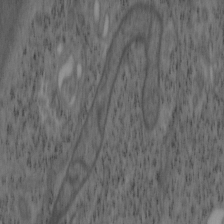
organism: Human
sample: HeLa cells